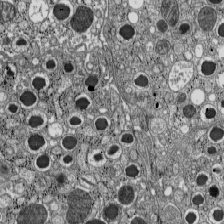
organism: C57BL Mouse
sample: Pancreatic islet